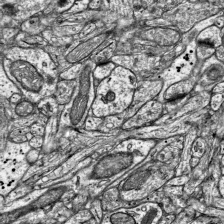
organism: Mouse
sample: Visual Cortex